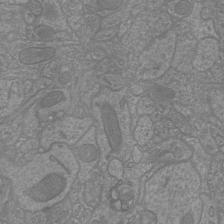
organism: Mouse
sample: Cortical neurons